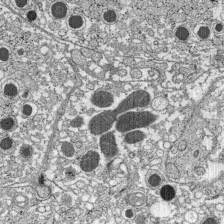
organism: C57BL Mouse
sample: Pancreatic islet